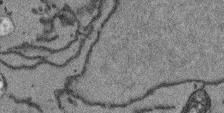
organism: Arabidopsis thaliana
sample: Root tip